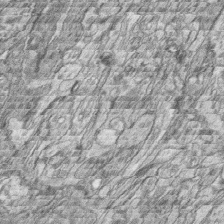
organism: Zebrafish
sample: synaptic ribbons in rod cells and cone cells